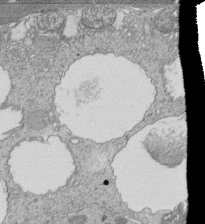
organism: Tetrahymena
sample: Cilia in tetrahymena